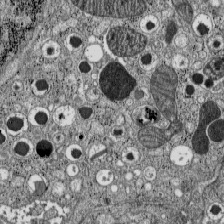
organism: C57BL Mouse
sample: Pancreatic islet